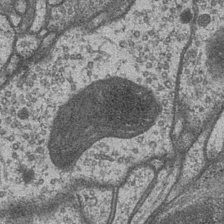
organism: Drosophila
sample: Optic medulla